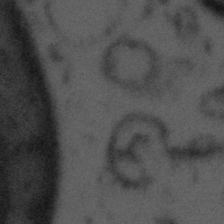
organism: Tuwongella immobilis